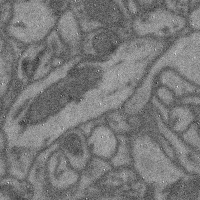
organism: Mouse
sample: Cerebral cortex